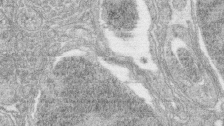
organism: Zebrafish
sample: synaptic ribbons in rod cells and cone cells